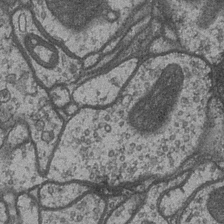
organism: Drosophila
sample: Optic medulla